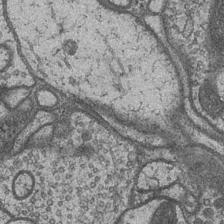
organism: Drosophila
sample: Optic medulla